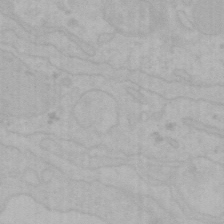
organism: Mouse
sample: Choroid plexus